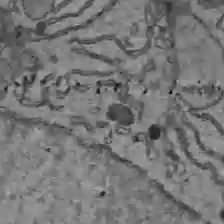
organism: C57BL Mouse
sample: Liver